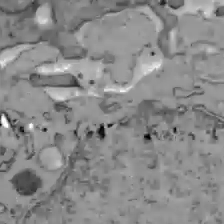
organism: C57BL Mouse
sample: Liver